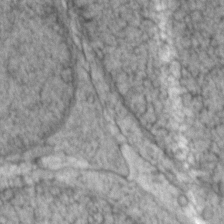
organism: Zebrafish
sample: Zebrafish embryo